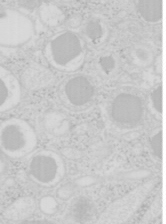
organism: Mouse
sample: Pancreas